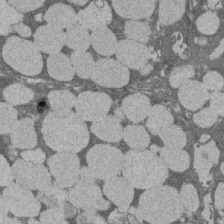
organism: Rat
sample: Salivary granule